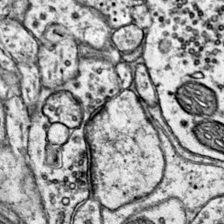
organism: Mouse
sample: Primary visual cortex